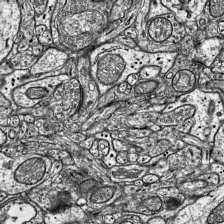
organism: Mouse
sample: Visual Cortex